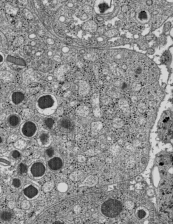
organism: C57BL Mouse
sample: Pancreatic islet